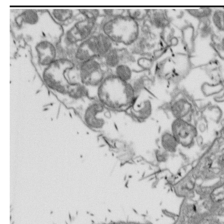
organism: Drosophila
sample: Cell division; meiosis; drosophila spermatocytes